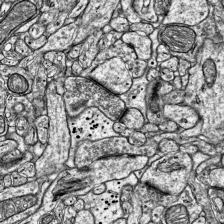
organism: Mouse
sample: Visual Cortex